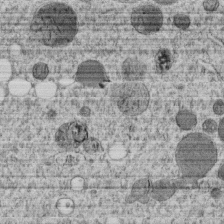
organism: C. elegans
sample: C. elegans embryo early stage